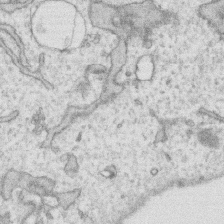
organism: Human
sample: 1205lu cells